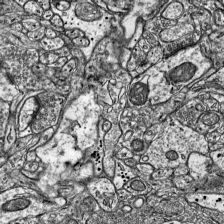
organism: Mouse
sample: Visual Cortex